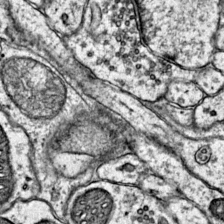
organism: Mouse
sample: Primary visual cortex